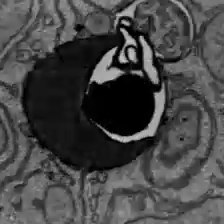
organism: C57BL Mouse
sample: Liver